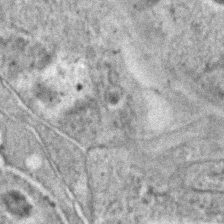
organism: C. elegans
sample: C. elegans embryo